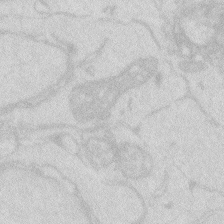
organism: Zebrafish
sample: Macrophage